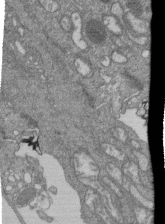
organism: Human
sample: Retinal organoid Rod and Cone cells